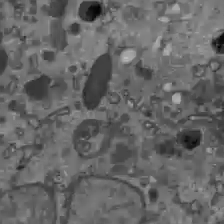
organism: C57BL Mouse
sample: Liver